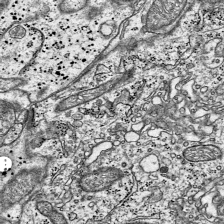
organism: Mouse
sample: Visual Cortex